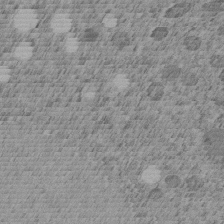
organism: C. elegans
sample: C. elegans embryo early stage